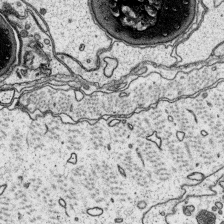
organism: Platynereis dumerilii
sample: Parapodia